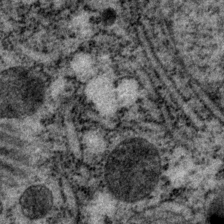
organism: P. pacificus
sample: Pharynx